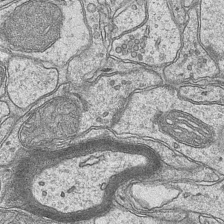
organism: Mouse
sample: CA1 Hippocampus